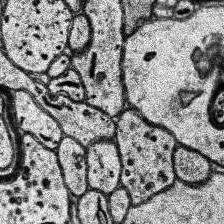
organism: Human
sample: Temporal Lobe